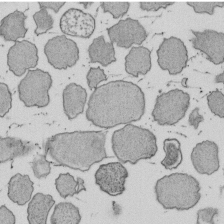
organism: E. coli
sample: Bacterial nucleoid